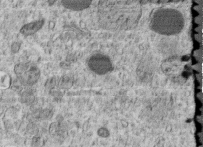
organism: C. elegans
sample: C. elegans embryo early stage